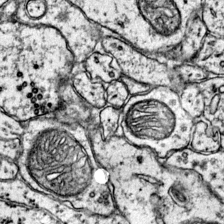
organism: Mouse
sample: Primary visual cortex